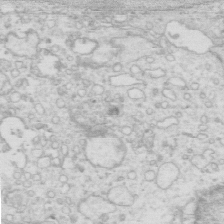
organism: Mouse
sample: Multiciliated cells